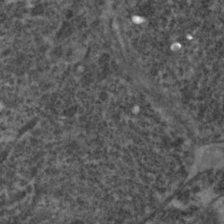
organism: Zebrafish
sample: Zebrafish embryo